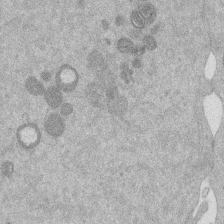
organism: Mouse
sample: Dividing mouse embryo 1 cell stage